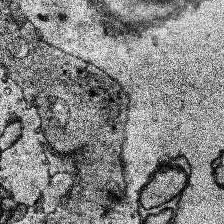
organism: Human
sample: Temporal Lobe